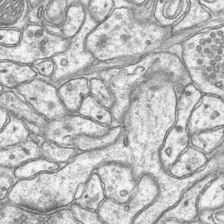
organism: Mouse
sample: CA1 Hippocampus